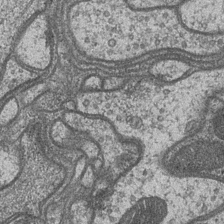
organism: Drosophila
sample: Optic medulla